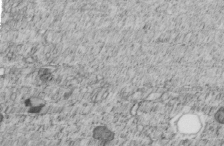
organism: C. elegans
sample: C. elegans embryo early stage